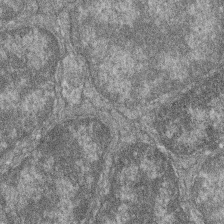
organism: Zebrafish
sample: Cilia; retinal pigment epithelium